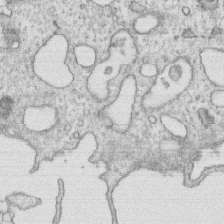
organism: Human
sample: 1205lu cells